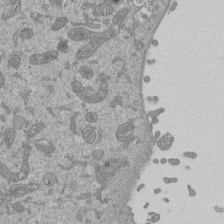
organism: Mouse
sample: ED-1 cell nuclei; centrioles